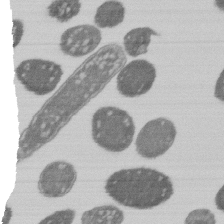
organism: E. coli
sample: Bacterial nucleoid